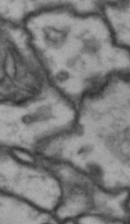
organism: Drosophila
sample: Brain